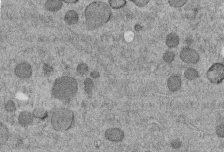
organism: C. elegans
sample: C. elegans embryo early stage